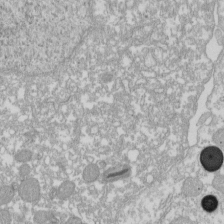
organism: Xenopus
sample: Cilia; centrioles in frog embryo cells